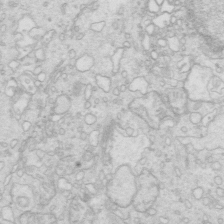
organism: Mouse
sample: Multiciliated cells